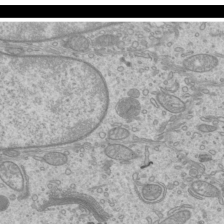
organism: Mouse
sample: Cilia; mouse epididymis